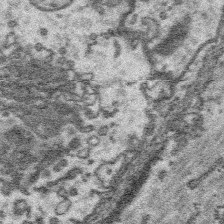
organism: Platynereis dumerilii